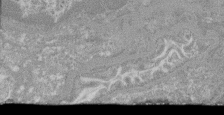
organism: Mouse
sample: Glomerulus